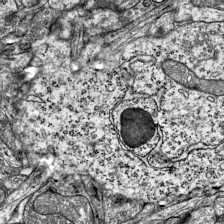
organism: Mouse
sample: Visual Cortex